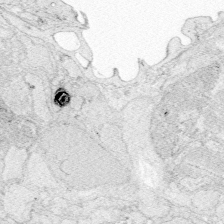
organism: Zebrafish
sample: Whole-Brain